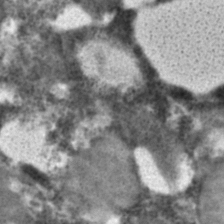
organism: C. elegans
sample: C. elegans embryo